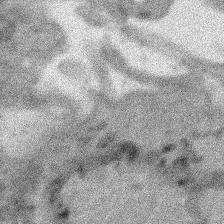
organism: Human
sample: Mitochondria in HCT116 cells